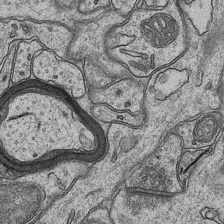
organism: Mouse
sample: CA1 Hippocampus